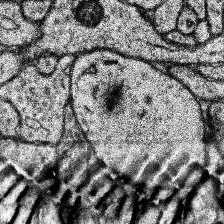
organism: Human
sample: Temporal Lobe